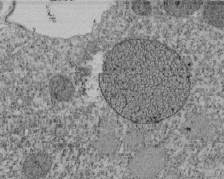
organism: Tetrahymena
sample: Cilia in tetrahymena